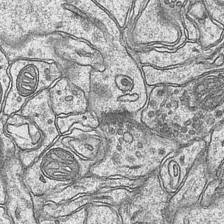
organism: Mouse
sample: CA1 Hippocampus